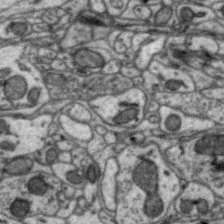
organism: Zebra finch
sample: Brain